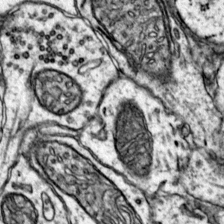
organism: Mouse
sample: Primary visual cortex